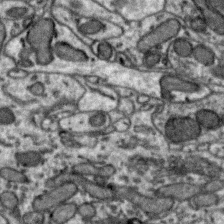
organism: Zebra finch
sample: Brain